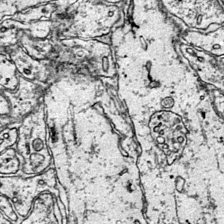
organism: Mouse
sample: Primary visual cortex